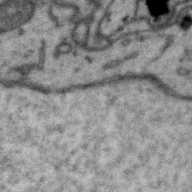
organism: Zebra finch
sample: Brain